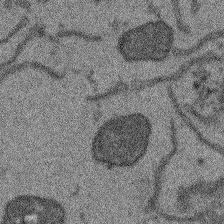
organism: Arabidopsis thaliana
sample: Root tip